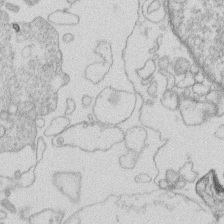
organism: Human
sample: Macrophage cells